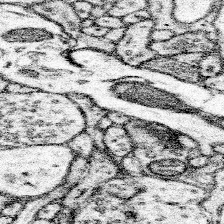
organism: Mouse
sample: Somatosensory cortex neuropil